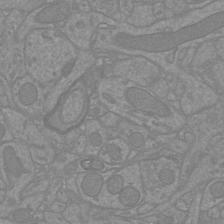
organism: Mouse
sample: Cortical neurons